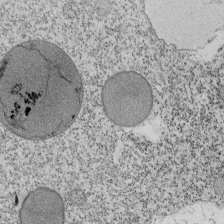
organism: Tetrahymena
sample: Cilia in tetrahymena